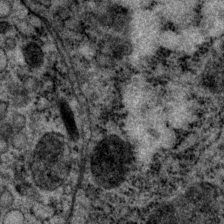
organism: P. pacificus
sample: Pharynx